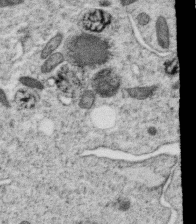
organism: C. elegans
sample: C. elegans oocyte; sperm cells